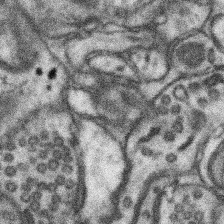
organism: Mouse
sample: Somatosensory cortex neuropil